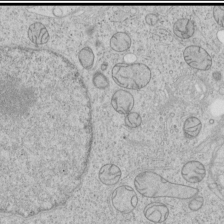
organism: Human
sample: Mitochondria in HCT116 cells